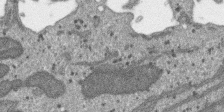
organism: Human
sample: Lung epithelial cells infected with SARS-CoV-2